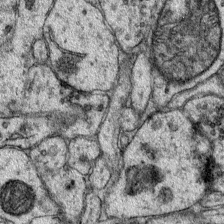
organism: Mouse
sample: Primary visual cortex